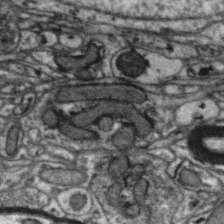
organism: Zebra finch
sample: Brain